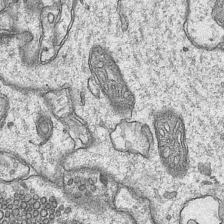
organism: Mouse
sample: CA1 Hippocampus